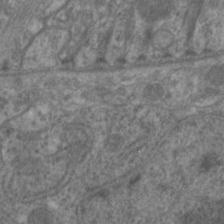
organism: C. elegans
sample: Pharynx